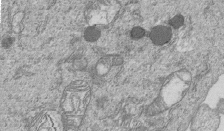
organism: Human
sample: MDA-MB-231 cells